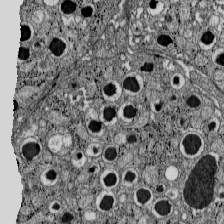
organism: C57BL Mouse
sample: Pancreatic islet